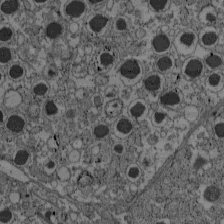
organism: C57BL Mouse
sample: Pancreatic islet